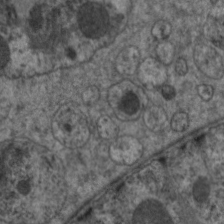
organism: C. elegans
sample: Pharynx